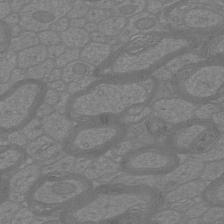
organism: Mouse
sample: Cortical neurons